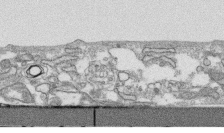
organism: Human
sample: CRL-1474